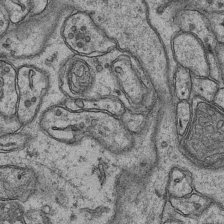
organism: Mouse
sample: CA1 Hippocampus